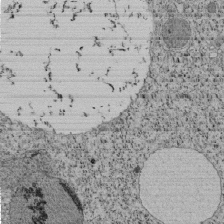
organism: Tetrahymena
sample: Cilia in tetrahymena